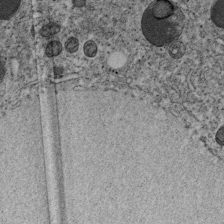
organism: C. elegans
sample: C. elegans embryo early stage